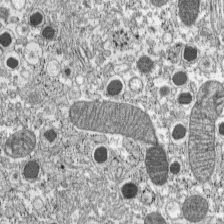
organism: C57BL Mouse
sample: Pancreatic islet